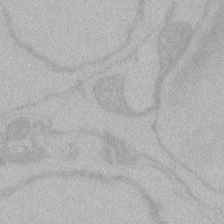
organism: Zebrafish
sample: Macrophage infected with Toxoplasma gondii